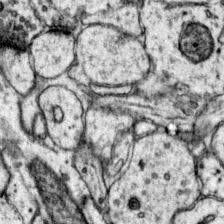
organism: Mouse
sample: Primary visual cortex